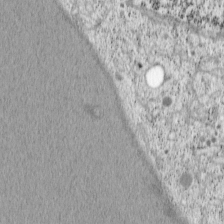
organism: African green monkey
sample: COS-7 cells